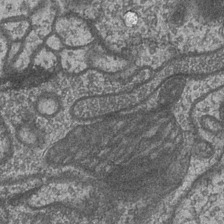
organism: Drosophila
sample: Optic medulla